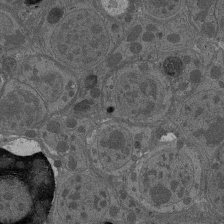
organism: Drosophila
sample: Antenna